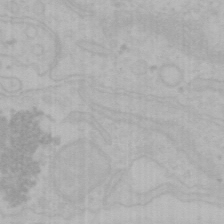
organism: Mouse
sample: Choroid plexus